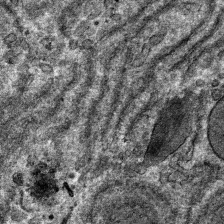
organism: Mouse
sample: Mouse hepatocytes